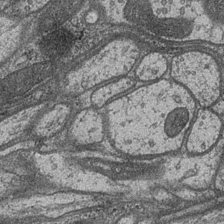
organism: Drosophila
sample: Optic medulla